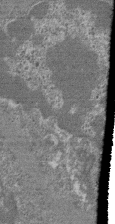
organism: Mouse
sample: Glomerulus